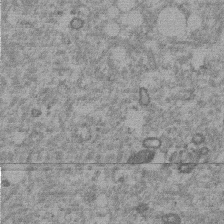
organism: Mouse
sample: Dividing mouse embryo 1 cell stage